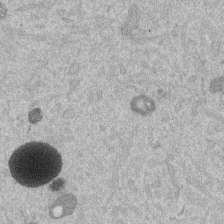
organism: Mouse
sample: Dividing mouse embryo 1 cell stage